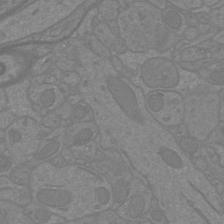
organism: Mouse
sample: Cortical neurons